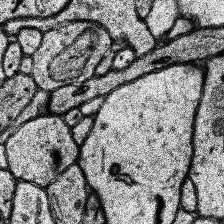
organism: Human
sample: Temporal Lobe